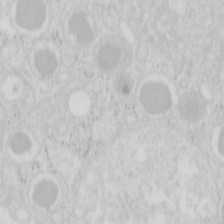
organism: Mouse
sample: Pancreas